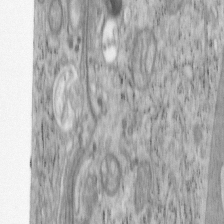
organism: Human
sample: HeLa cells